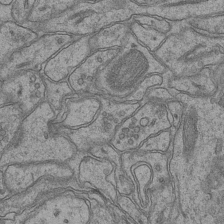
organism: Mouse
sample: CA1 Hippocampus